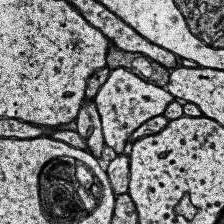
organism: Human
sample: Temporal Lobe